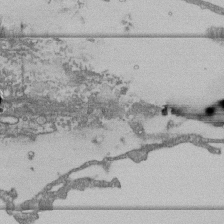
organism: Human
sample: Fibroblast cells